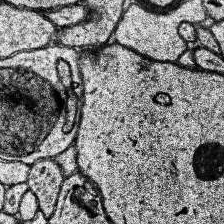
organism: Human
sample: Temporal Lobe